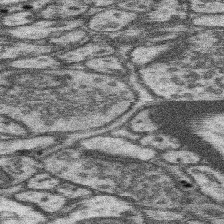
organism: Mouse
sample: Somatosensory cortex neuropil